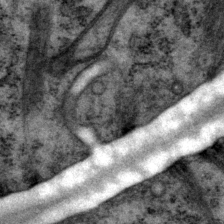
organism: P. pacificus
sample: Pharynx